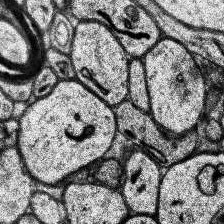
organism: Human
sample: Temporal Lobe